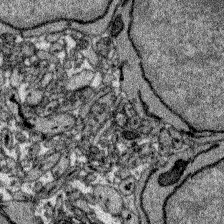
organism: Zebrafish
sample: Larval olfactory bulb